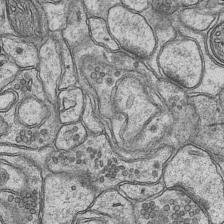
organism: Mouse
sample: CA1 Hippocampus